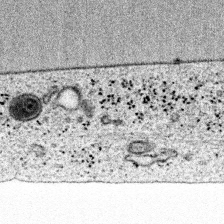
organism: Human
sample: HeLa cells